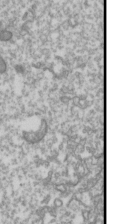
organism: Drosophila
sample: Cell division; meiosis; drosophila spermatocytes